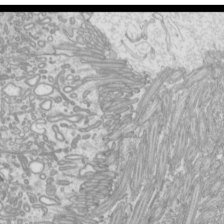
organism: Mouse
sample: Cilia; mouse epididymis